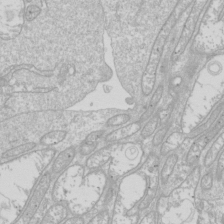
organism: Drosophila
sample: Cell division; meiosis; drosophila spermatocytes